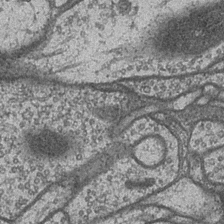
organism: Drosophila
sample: Optic medulla